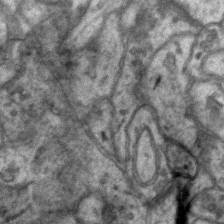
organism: Mouse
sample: CA1 Hippocampus